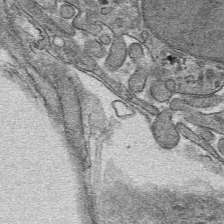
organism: Mouse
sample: Mouse hepatocytes